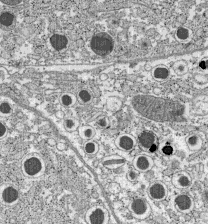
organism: C57BL Mouse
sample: Pancreatic islet